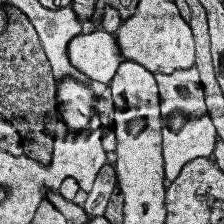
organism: Human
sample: Temporal Lobe